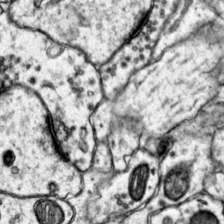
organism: Mouse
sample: Primary visual cortex